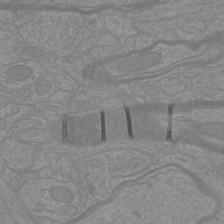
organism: Mouse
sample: Cortical neurons